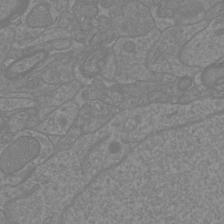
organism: Mouse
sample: Cortical neurons